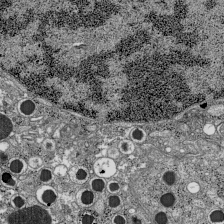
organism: C57BL Mouse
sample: Pancreatic islet